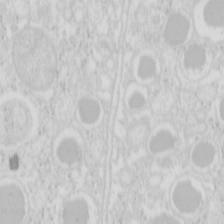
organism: Mouse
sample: Pancreas